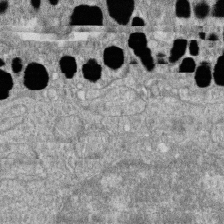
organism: Zebrafish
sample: Cilia; retinal pigment epithelium